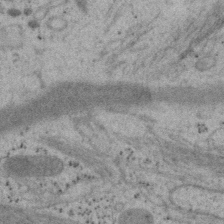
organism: Human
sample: HeLa cells